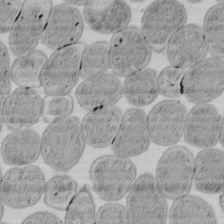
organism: E. coli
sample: Bacterial nucleoid